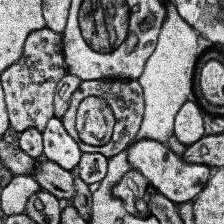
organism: Human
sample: Temporal Lobe